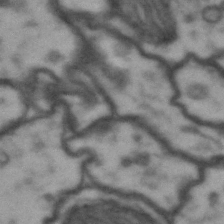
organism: Drosophila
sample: Brain